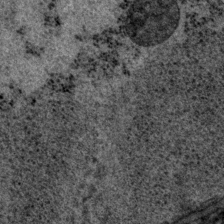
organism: P. pacificus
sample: Pharynx